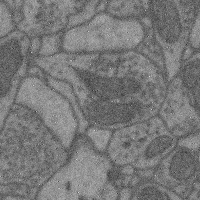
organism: Mouse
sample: Cerebral cortex